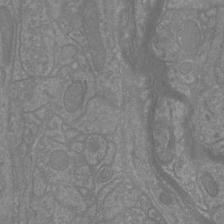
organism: Mouse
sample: Cortical neurons